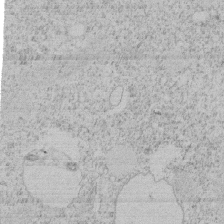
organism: Tetrahymena